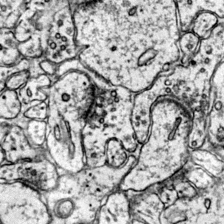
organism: Mouse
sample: Primary visual cortex